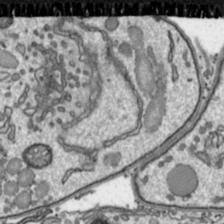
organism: Toxoplasma gondii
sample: Parasites in a vacuole inside a host cell